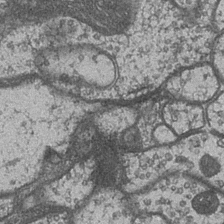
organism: Drosophila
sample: Optic medulla